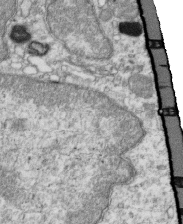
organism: Mouse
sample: Activated OT-1 CD8+ T cells